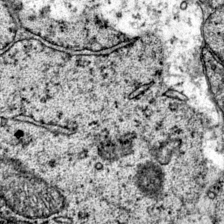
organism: Mouse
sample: Primary visual cortex